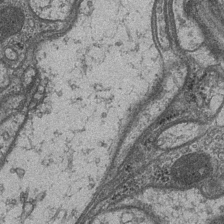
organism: Drosophila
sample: Optic medulla